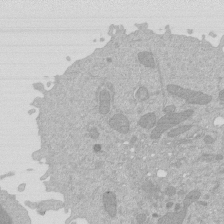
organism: Mouse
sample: Activated Pmel transgenic CD8+ T Cells